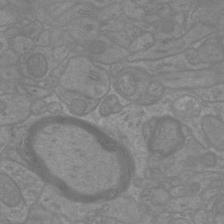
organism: Mouse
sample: Cortical neurons